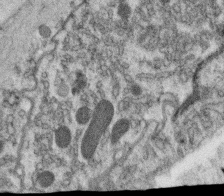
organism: C. elegans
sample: C. elegans oocyte; sperm cells